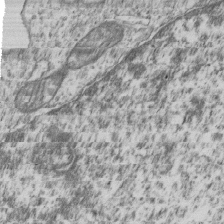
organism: Human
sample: MDA-MB-231 cells